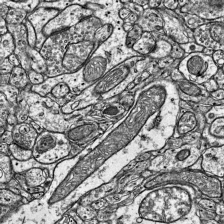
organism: Mouse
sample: Visual Cortex